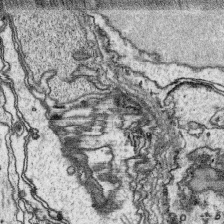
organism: Platynereis dumerilii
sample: Parapodia